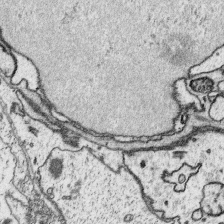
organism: Platynereis dumerilii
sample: Parapodia